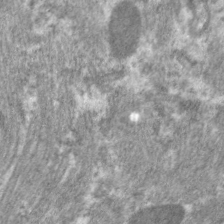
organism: C. elegans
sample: Pharynx